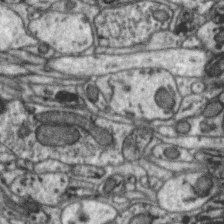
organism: Zebra finch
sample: Brain